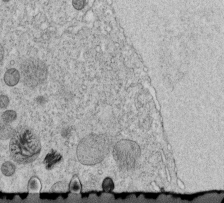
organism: C. elegans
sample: C. elegans embryo early stage